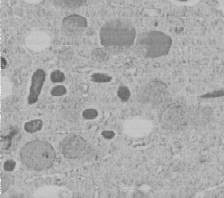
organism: C. elegans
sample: C. elegans embryo early stage